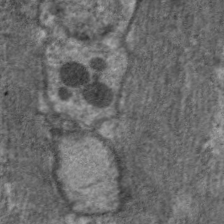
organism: C. elegans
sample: Pharynx